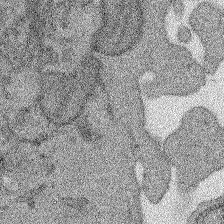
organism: Human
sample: HeLa cells